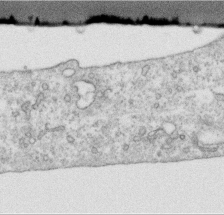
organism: Human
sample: Centriole in RPE cells